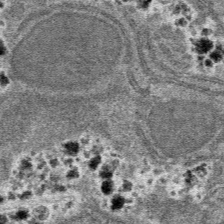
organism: Mouse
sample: Mouse hepatocytes